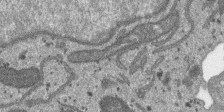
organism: Human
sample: Lung epithelial cells infected with SARS-CoV-2